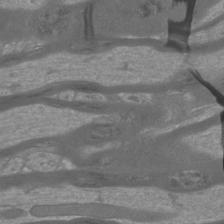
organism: Mouse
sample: Cortical neurons